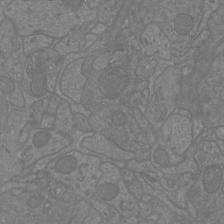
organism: Mouse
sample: Cortical neurons